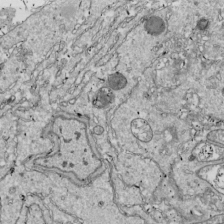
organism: Drosophila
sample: Cell division; meiosis; drosophila spermatocytes